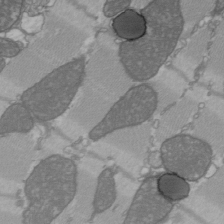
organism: C57BL Mouse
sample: Heart